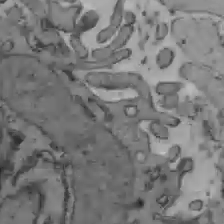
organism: C57BL Mouse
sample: Liver